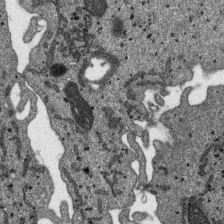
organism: Human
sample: Lung epithelial cells infected with SARS-CoV-2